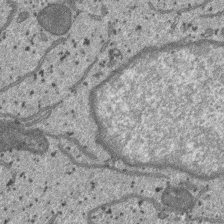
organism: Human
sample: Lung epithelial cells infected with SARS-CoV-2